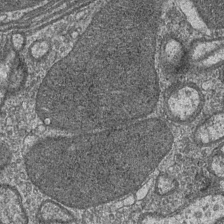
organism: Drosophila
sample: Optic medulla